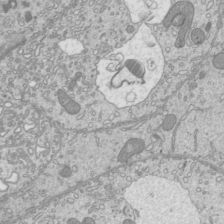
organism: Mouse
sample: Cilia; mouse epididymis